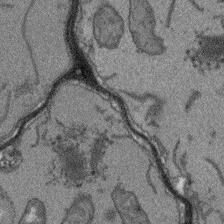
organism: Arabidopsis thaliana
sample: Root tip